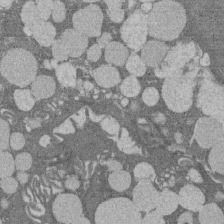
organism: Rat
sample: Salivary granule